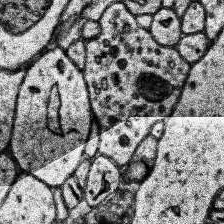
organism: Human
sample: Temporal Lobe